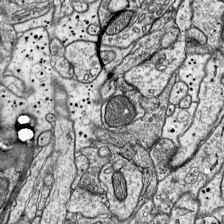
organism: Mouse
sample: Visual Cortex